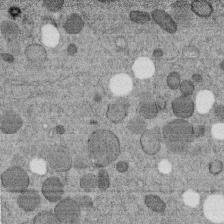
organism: C. elegans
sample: C. elegans embryo early stage